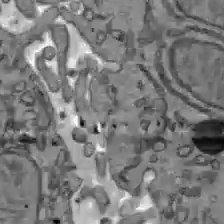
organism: C57BL Mouse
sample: Liver